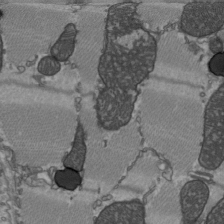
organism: C57BL Mouse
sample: Heart